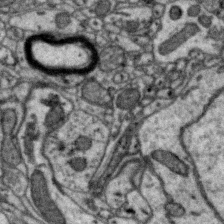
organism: Zebra finch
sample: Brain